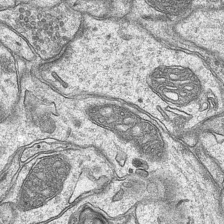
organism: Mouse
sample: CA1 Hippocampus